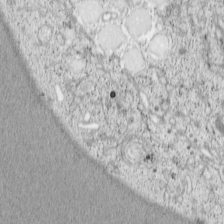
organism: African green monkey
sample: COS-7 cells